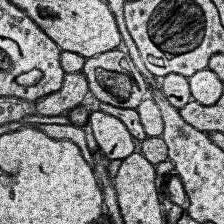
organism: Human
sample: Temporal Lobe